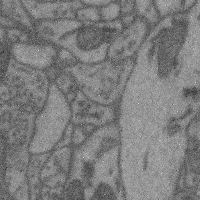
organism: Mouse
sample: Cerebral cortex